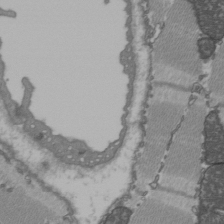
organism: C57BL Mouse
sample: Heart